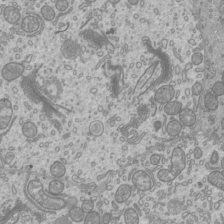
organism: Mouse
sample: Cilia; mouse epididymis